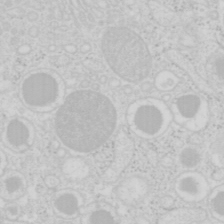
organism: Mouse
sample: Pancreas